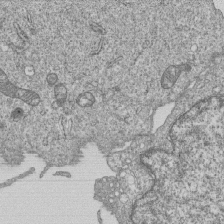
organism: Human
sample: MDA-MB-231 cells